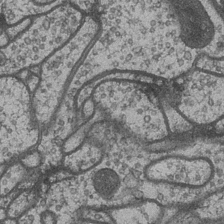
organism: Drosophila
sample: Optic medulla